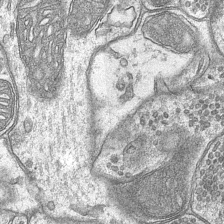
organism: Mouse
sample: CA1 Hippocampus